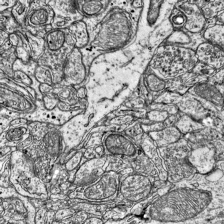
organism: Mouse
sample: Visual Cortex